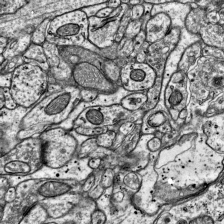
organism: Mouse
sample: Visual Cortex